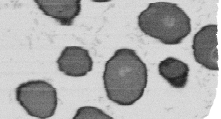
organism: B. subtilis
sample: Bacterial spore